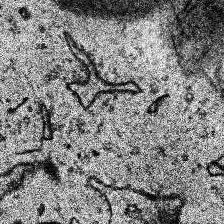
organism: Human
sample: Temporal Lobe